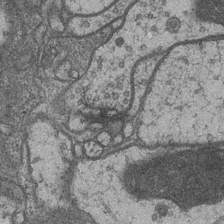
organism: Drosophila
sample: Optic medulla